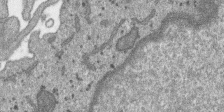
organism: Human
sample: Lung epithelial cells infected with SARS-CoV-2